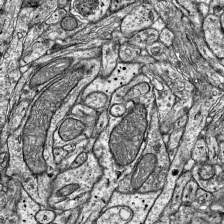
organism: Mouse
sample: Visual Cortex